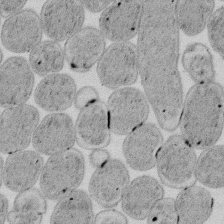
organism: E. coli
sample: Bacterial nucleoid